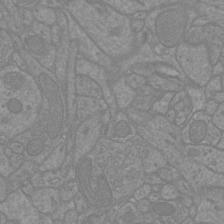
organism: Mouse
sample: Cortical neurons